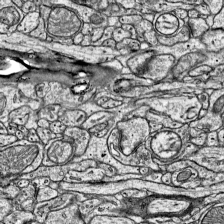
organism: Mouse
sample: Visual Cortex